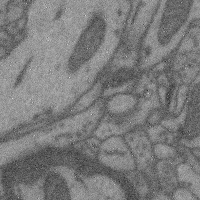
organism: Mouse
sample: Cerebral cortex